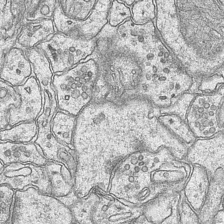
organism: Mouse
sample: CA1 Hippocampus